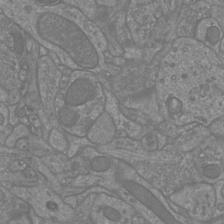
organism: Mouse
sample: Cortical neurons